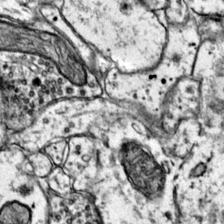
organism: Mouse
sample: Primary visual cortex